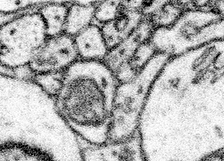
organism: Mouse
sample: Somatosensory cortex neuropil